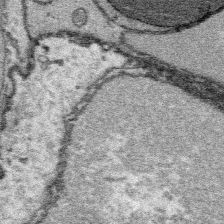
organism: Platynereis dumerilii